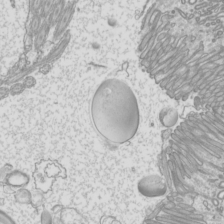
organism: Mouse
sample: Cilia; mouse epididymis